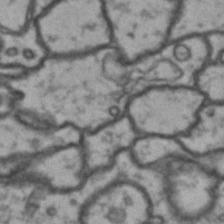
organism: Drosophila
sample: Brain